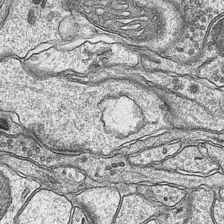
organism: Mouse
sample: CA1 Hippocampus